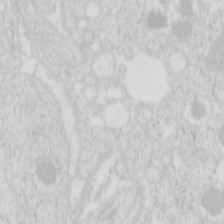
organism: Mouse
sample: Pancreas